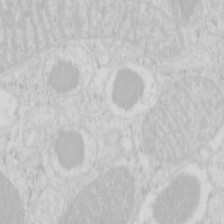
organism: Mouse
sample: Pancreas